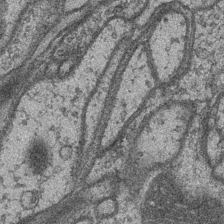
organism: Drosophila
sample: Optic medulla